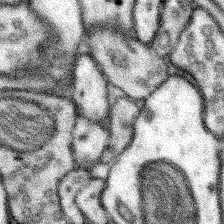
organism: Mouse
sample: Somatosensory cortex neuropil